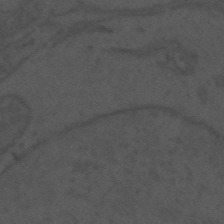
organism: Mouse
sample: Suprachiasmatic nucleus